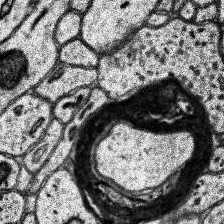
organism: Human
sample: Temporal Lobe